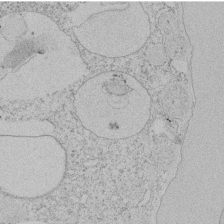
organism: Tetrahymena